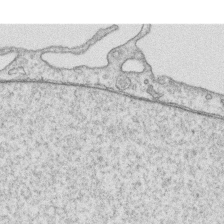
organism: Human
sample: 1205lu cells